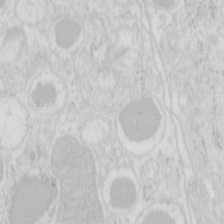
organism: Mouse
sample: Pancreas